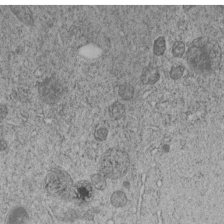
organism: C. elegans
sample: C. elegans embryo early stage